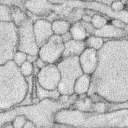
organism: Rabbit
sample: Retina